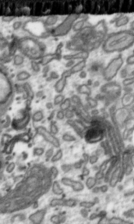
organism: Toxoplasma gondii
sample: Parasites in a vacuole inside a host cell